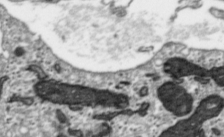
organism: Toxoplasma gondii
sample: Parasites in a vacuole inside a host cell